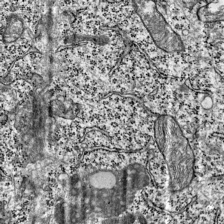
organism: Mouse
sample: Visual Cortex